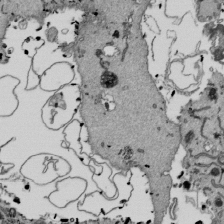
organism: Mouse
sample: ED-1 cell nuclei; centrioles